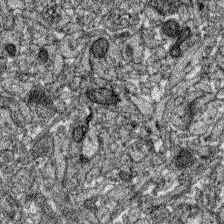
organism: Zebrafish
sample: Larval olfactory bulb